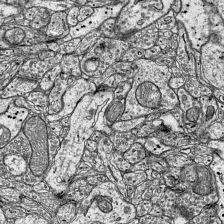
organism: Mouse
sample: Visual Cortex